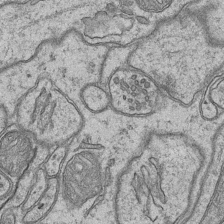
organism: Mouse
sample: CA1 Hippocampus